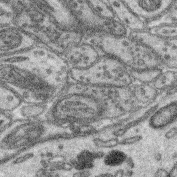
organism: Mouse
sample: Retina